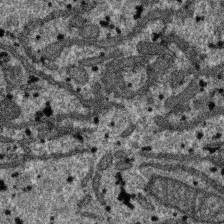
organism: Human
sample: Lung epithelial cells infected with SARS-CoV-2